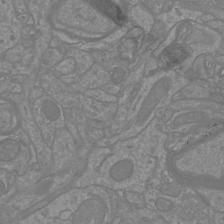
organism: Mouse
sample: Cortical neurons